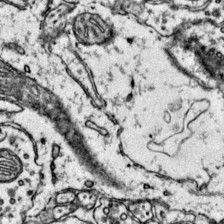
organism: Mouse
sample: Primary visual cortex